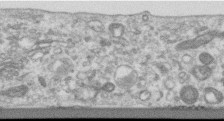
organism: Human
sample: Centriole in RPE cells